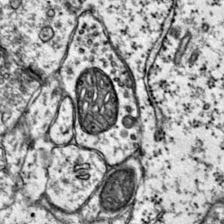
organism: Mouse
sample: Primary visual cortex